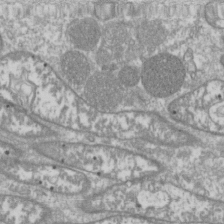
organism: Drosophila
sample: Cell division; meiosis; drosophila spermatocytes